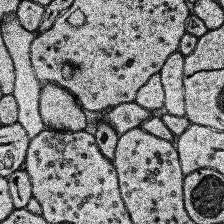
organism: Human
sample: Temporal Lobe